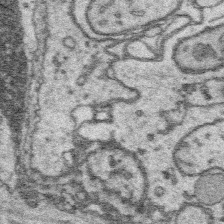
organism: Platynereis dumerilii